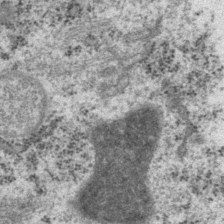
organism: P. pacificus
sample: Pharynx